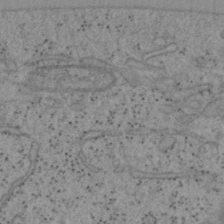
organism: Human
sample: HeLa cells